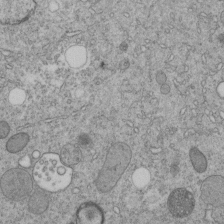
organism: C. elegans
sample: C. elegans embryo early stage